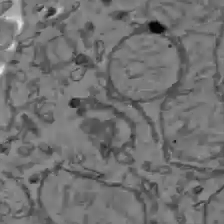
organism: C57BL Mouse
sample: Liver